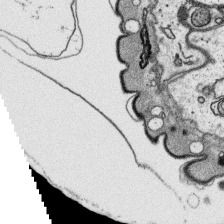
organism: Platynereis dumerilii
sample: Parapodia